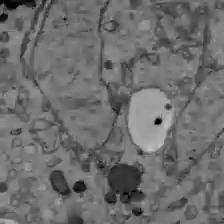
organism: C57BL Mouse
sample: Liver